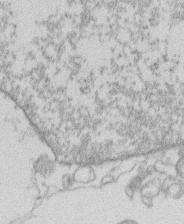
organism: Human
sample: Macrophage cells